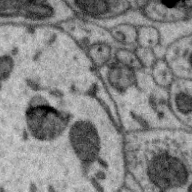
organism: Zebra finch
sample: Brain